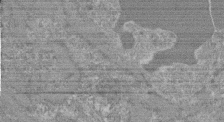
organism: Mouse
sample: Glomerulus